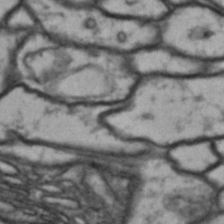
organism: Drosophila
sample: Brain